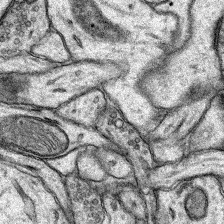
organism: Rat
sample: Hippocampus